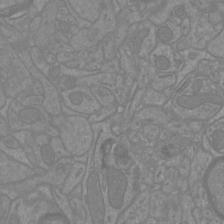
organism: Mouse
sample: Cortical neurons